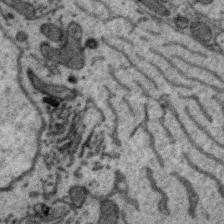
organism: Zebra finch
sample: Brain